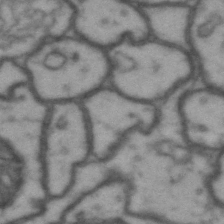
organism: Drosophila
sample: Brain